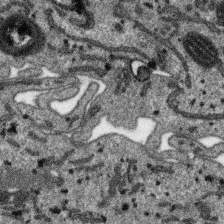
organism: Human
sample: Lung epithelial cells infected with SARS-CoV-2